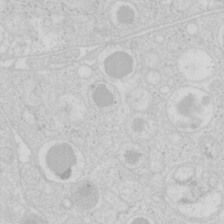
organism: Mouse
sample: Pancreas